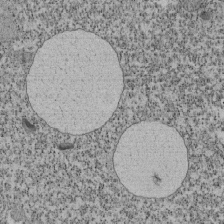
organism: Tetrahymena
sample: Cilia in tetrahymena